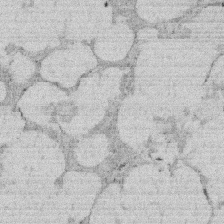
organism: Rat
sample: Salivary granule